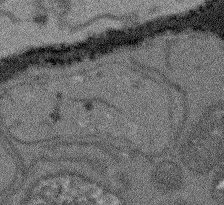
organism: Arabidopsis thaliana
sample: Root tip